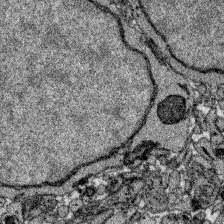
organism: Zebrafish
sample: Larval olfactory bulb